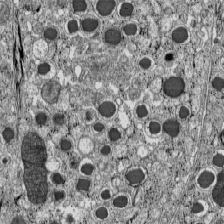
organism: C57BL Mouse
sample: Pancreatic islet